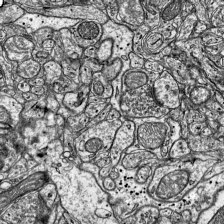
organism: Mouse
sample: Visual Cortex